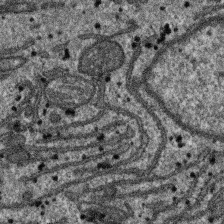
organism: Human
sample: Lung epithelial cells infected with SARS-CoV-2